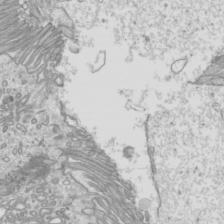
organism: Mouse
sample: Cilia; mouse epididymis